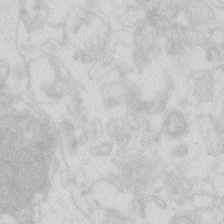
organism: Zebrafish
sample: Macrophage